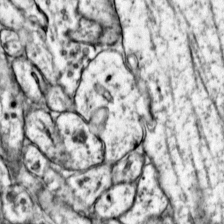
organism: Mouse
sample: Primary visual cortex